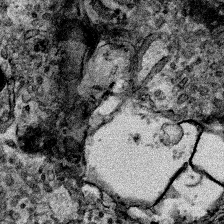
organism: Human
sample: Mitochondria in HCT116 cells